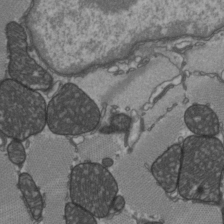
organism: C57BL Mouse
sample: Heart